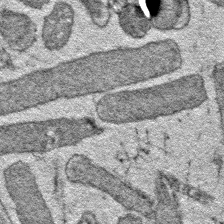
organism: E. coli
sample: E. Coli Bacteria